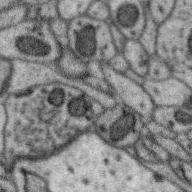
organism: Zebra finch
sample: Brain